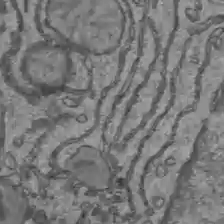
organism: C57BL Mouse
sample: Liver